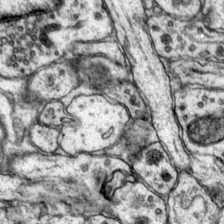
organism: Mouse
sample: Primary visual cortex